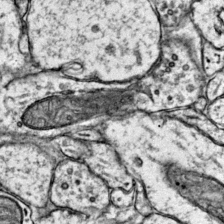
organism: Mouse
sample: Primary visual cortex